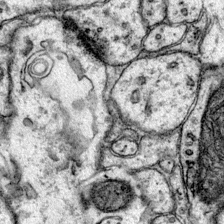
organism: Mouse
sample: Primary visual cortex